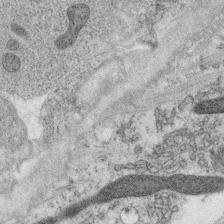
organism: C. elegans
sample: C. elegans oocyte; sperm cells